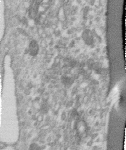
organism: Human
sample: Centriole in RPE cells